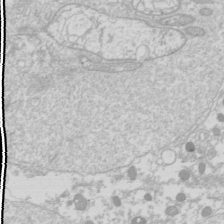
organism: Drosophila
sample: Cell division; meiosis; drosophila spermatocytes